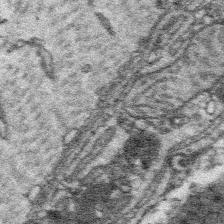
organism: Platynereis dumerilii